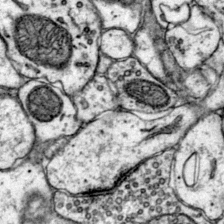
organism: Mouse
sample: Primary visual cortex